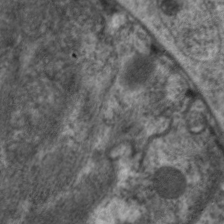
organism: C. elegans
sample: Pharynx